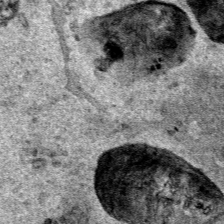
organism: Human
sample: Mitochondria in HCT116 cells